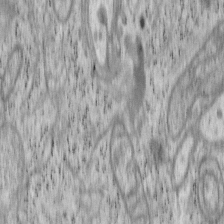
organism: Human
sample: HeLa cells